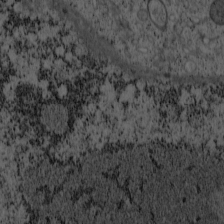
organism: African green monkey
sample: COS-7 cells